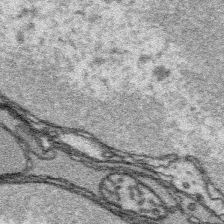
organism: Platynereis dumerilii